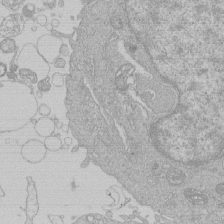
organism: Human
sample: Macrophage cells